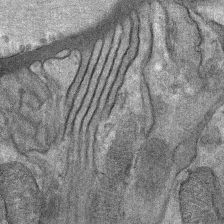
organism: Mouse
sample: Mouse Salivary gland